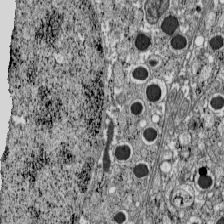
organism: C57BL Mouse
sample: Pancreatic islet